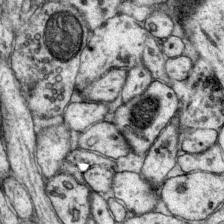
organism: Mouse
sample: Primary visual cortex